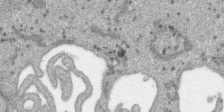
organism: Human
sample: Lung epithelial cells infected with SARS-CoV-2